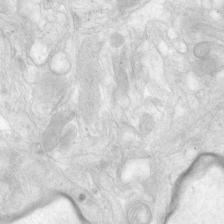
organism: Human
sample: Neocortex